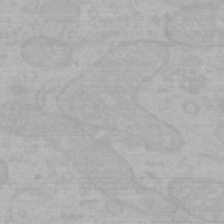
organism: Mouse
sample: Choroid plexus